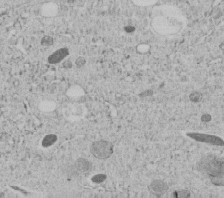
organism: C. elegans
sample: C. elegans embryo early stage